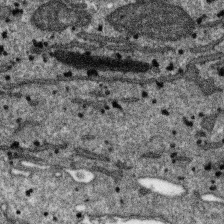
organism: Human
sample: Lung epithelial cells infected with SARS-CoV-2